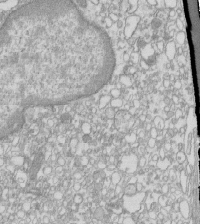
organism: Mouse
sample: Macrophages